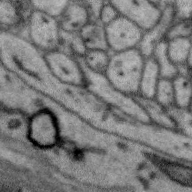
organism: Zebra finch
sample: Brain